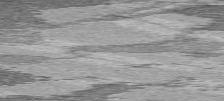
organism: C57BL Mouse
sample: Heart